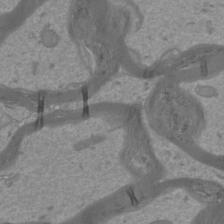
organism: Mouse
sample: Cortical neurons